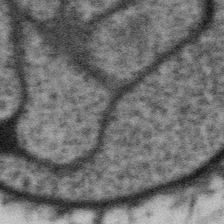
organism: Gemmata obscuriglobus